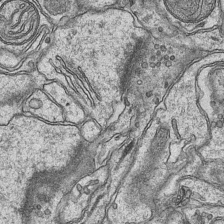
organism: Mouse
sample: CA1 Hippocampus